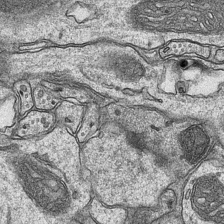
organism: Mouse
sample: CA1 Hippocampus